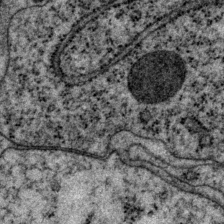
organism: P. pacificus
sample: Pharynx